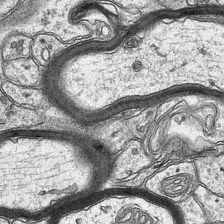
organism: Mouse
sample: CA1 Hippocampus